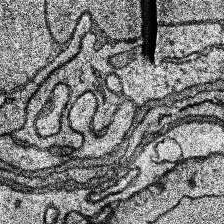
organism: Human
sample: Temporal Lobe